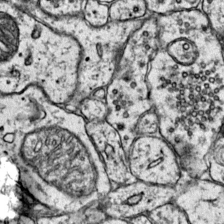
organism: Mouse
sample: Primary visual cortex